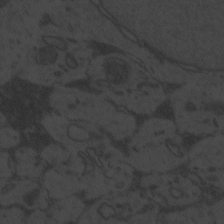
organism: Zebrafish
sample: Macrophage infected with Toxoplasma gondii